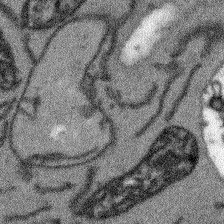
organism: Arabidopsis thaliana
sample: Root tip